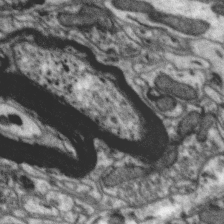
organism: Zebra finch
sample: Brain